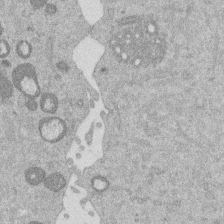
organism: Mouse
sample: Dividing mouse embryo 1 cell stage